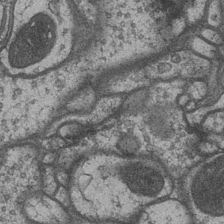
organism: Drosophila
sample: Optic medulla